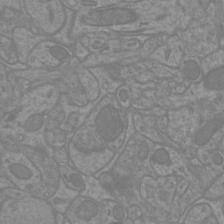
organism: Mouse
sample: Cortical neurons